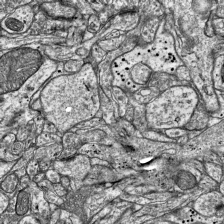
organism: Mouse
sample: Visual Cortex